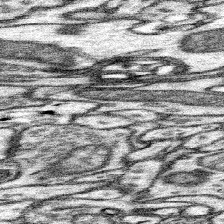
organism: Mouse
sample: Somatosensory cortex neuropil